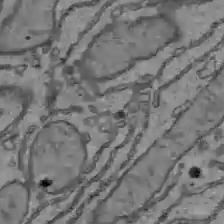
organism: C57BL Mouse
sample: Liver